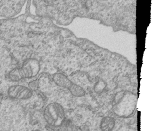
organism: Human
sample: MDA-MB-231 cells